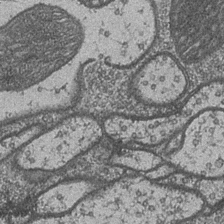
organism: Drosophila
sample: Optic medulla